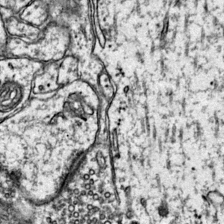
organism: Mouse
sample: Primary visual cortex